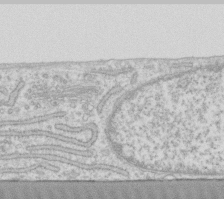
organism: Human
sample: Fibroblast cells